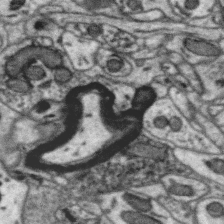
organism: Zebra finch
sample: Brain